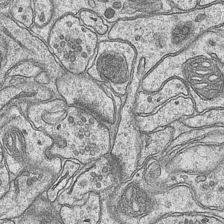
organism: Mouse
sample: CA1 Hippocampus